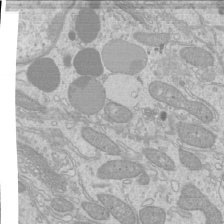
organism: Mouse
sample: Cilia; mouse epididymis